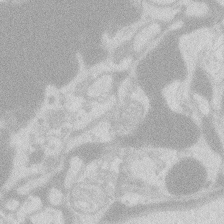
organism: Zebrafish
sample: Macrophage